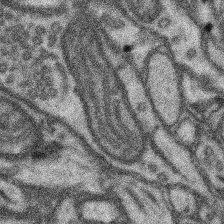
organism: Mouse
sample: Somatosensory cortex neuropil